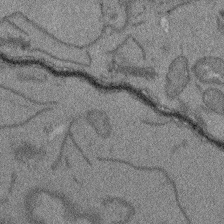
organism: Arabidopsis thaliana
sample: Root tip